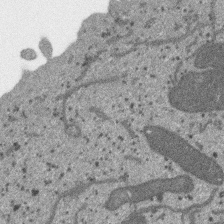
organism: Human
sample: Lung epithelial cells infected with SARS-CoV-2